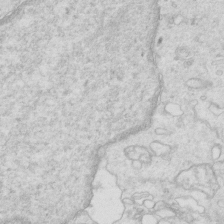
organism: Mouse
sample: Multiciliated cells